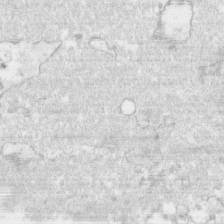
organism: Human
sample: CRL-1474